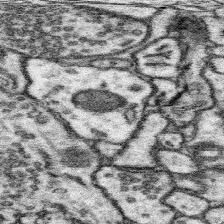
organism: Mouse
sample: Somatosensory cortex neuropil